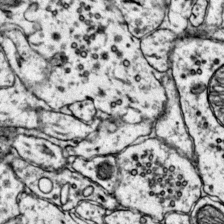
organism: Mouse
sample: Primary visual cortex